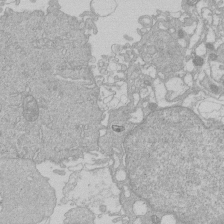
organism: Human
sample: Macrophage cells